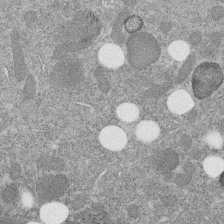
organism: C. elegans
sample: C. elegans embryo early stage